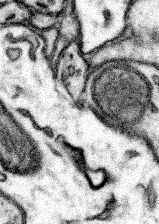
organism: Mouse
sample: Somatosensory cortex neuropil